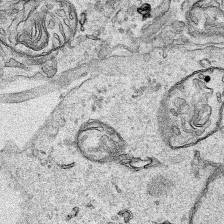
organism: Human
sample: Mitochondria in HCT116 cells